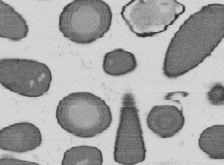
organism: B. subtilis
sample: Bacterial spore